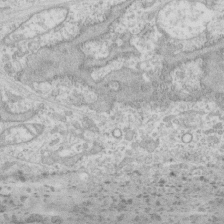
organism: Human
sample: CRL-1474